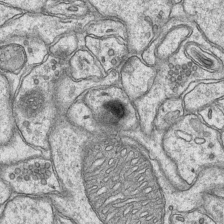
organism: Mouse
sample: CA1 Hippocampus